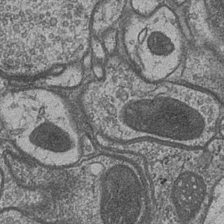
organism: Drosophila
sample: Optic medulla